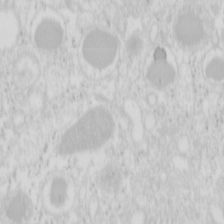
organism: Mouse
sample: Pancreas